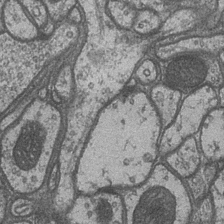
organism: Drosophila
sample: Optic medulla